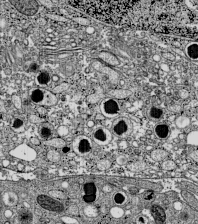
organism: C57BL Mouse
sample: Pancreatic islet